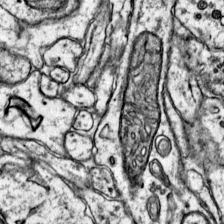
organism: Mouse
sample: Primary visual cortex